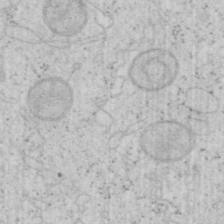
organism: Human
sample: HeLa cells